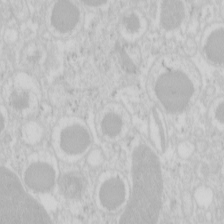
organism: Mouse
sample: Pancreas